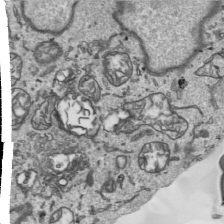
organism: Human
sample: Mitochondria in HCT116 cells